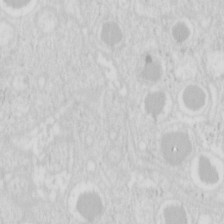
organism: Mouse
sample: Pancreas